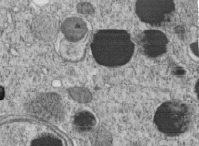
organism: C. elegans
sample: C. elegans embryo early stage